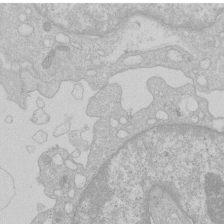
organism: Human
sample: Macrophage cells